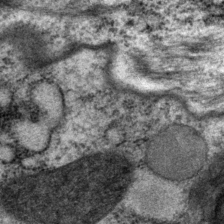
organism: P. pacificus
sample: Pharynx